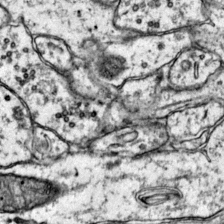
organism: Mouse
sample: Primary visual cortex